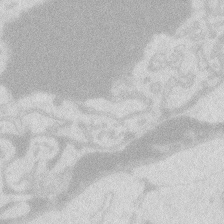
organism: Zebrafish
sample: Macrophage